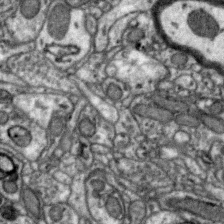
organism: Zebra finch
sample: Brain